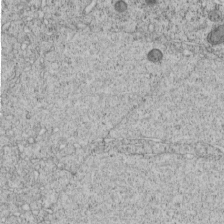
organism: C. elegans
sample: C. elegans embryo early stage